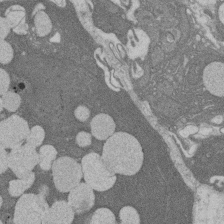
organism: Rat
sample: Salivary granule